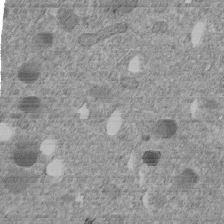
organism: C. elegans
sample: C. elegans embryo early stage